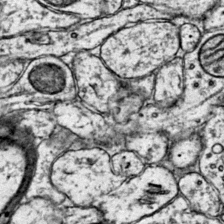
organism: Mouse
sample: Primary visual cortex